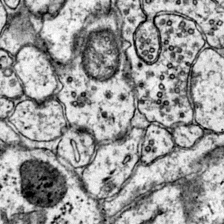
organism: Mouse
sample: Primary visual cortex